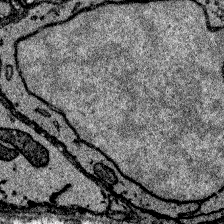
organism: Zebrafish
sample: Larval olfactory bulb